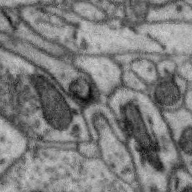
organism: Zebra finch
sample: Brain